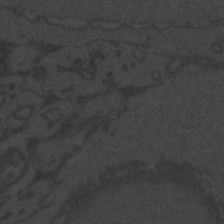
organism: Zebrafish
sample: Macrophage infected with Toxoplasma gondii